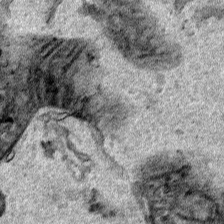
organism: Human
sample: Mitochondria in HCT116 cells